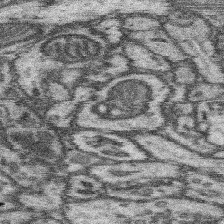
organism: Mouse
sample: Somatosensory cortex neuropil